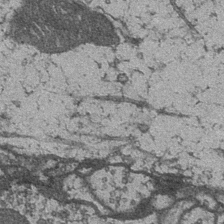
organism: Drosophila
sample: Optic medulla